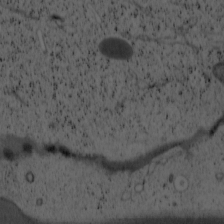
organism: African green monkey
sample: COS-7 cells